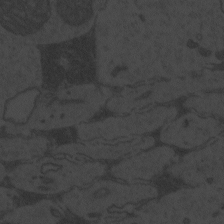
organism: Zebrafish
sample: Macrophage infected with Toxoplasma gondii